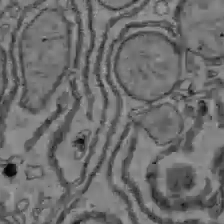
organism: C57BL Mouse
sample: Liver